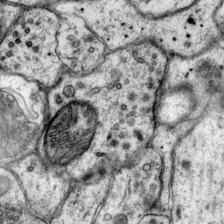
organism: Mouse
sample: Primary visual cortex